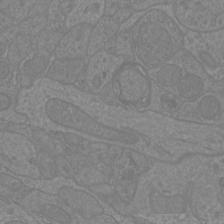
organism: Mouse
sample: Cortical neurons